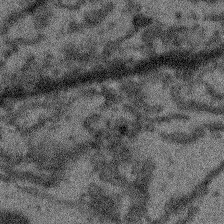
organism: Arabidopsis thaliana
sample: Root tip